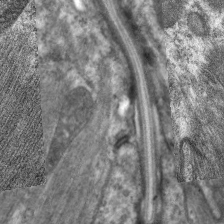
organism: C. elegans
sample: Pharynx